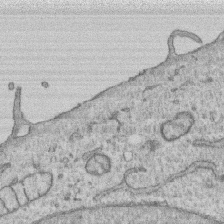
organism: Human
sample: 1205lu cells